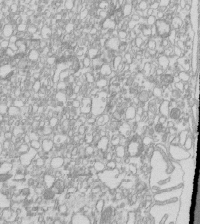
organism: Mouse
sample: Macrophages